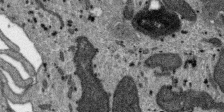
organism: Human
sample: Lung epithelial cells, uninfected (mock) control